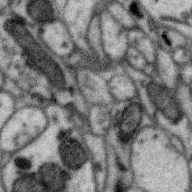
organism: Zebra finch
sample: Brain